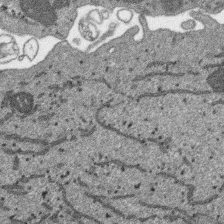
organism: Human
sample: Lung epithelial cells infected with SARS-CoV-2